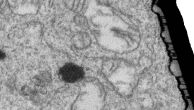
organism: Human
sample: HeLa cell HIV synapse